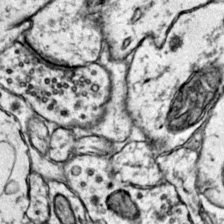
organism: Mouse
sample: Primary visual cortex